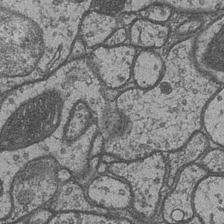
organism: Drosophila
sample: Optic medulla